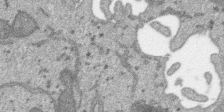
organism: Human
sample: Lung epithelial cells infected with SARS-CoV-2